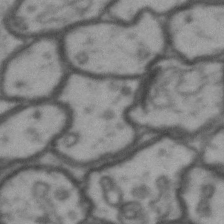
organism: Drosophila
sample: Brain